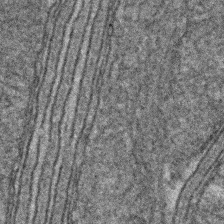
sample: Kidney